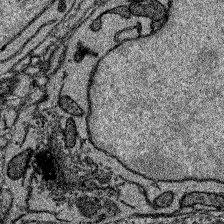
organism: Zebrafish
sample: Larval olfactory bulb